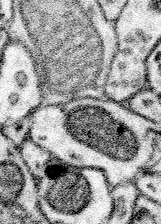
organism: Mouse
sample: Somatosensory cortex neuropil